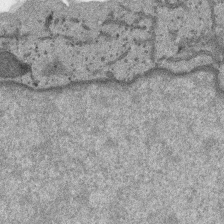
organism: Human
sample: Lung epithelial cells infected with SARS-CoV-2